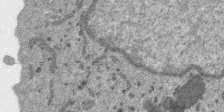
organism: Human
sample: Lung epithelial cells infected with SARS-CoV-2